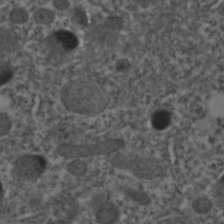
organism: C. elegans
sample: C. elegans embryo